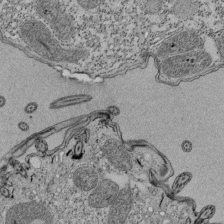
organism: Tetrahymena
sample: Cilia in tetrahymena